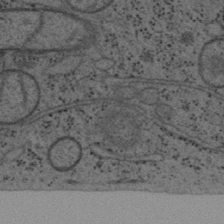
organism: Human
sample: HeLa cells